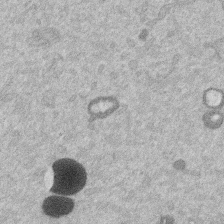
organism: Mouse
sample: Dividing mouse embryo 1 cell stage